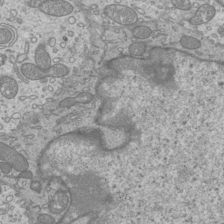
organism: Mouse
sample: Cilia; mouse epididymis